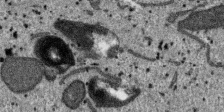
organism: Human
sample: Lung epithelial cells, uninfected (mock) control